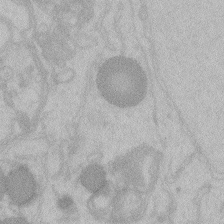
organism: Zebrafish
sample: Macrophage infected with Toxoplasma gondii